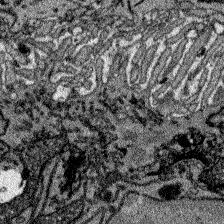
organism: Zebrafish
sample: Larval olfactory bulb